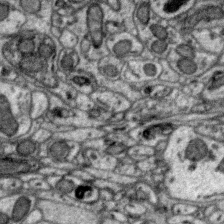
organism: Zebra finch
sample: Brain